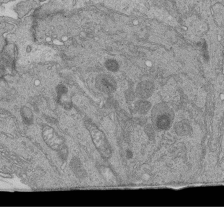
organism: Human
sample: Retinal organoid Rod and Cone cells